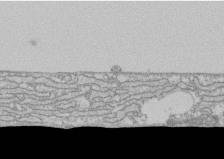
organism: Human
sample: CRL-1474